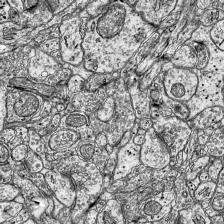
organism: Mouse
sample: Visual Cortex